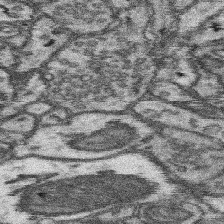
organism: Mouse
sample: Somatosensory cortex neuropil